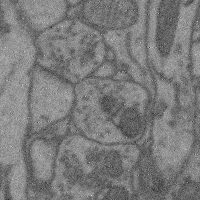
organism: Mouse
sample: Cerebral cortex